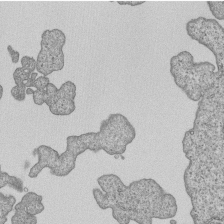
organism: Human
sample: MDA-MB-231 cells